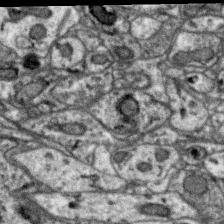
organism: Zebra finch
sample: Brain